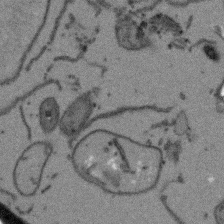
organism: Arabidopsis thaliana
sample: Root tip